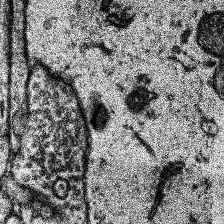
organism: Human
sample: Temporal Lobe